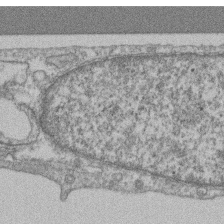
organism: Mouse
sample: T cell stromal cell synapse